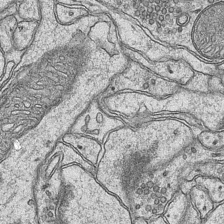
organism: Mouse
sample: CA1 Hippocampus